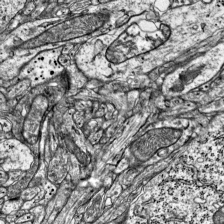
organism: Mouse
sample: Visual Cortex